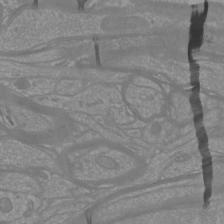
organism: Mouse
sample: Cortical neurons